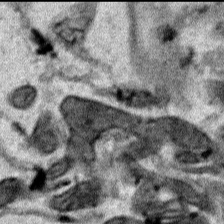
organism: Human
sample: Mitochondria in HCT116 cells